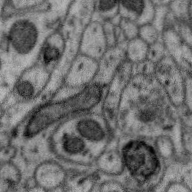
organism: Zebra finch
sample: Brain